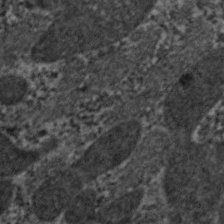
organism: C. elegans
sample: Pharynx